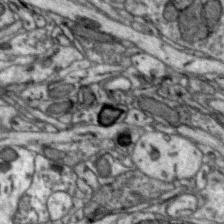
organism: Zebra finch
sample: Brain